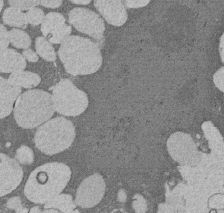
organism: Rat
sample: Salivary granule